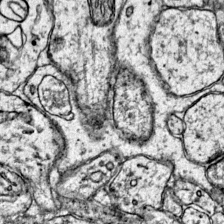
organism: Mouse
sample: Primary visual cortex